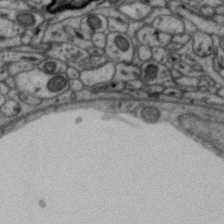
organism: Zebra finch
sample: Brain